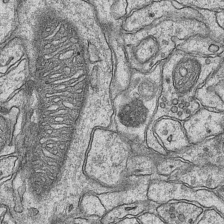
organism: Mouse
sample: CA1 Hippocampus